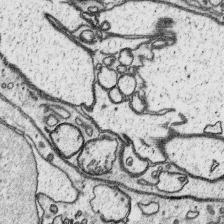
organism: Platynereis dumerilii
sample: Parapodia